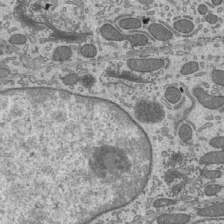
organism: Mouse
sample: Mouse epididymis efferent ductule cilia